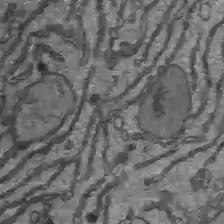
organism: C57BL Mouse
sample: Liver